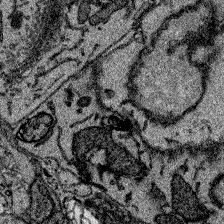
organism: Zebrafish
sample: Larval olfactory bulb